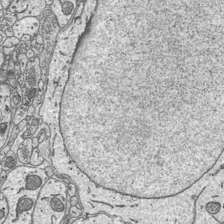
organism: Mouse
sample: Suprachiasmatic nucleus